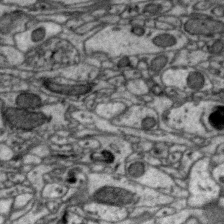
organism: Zebra finch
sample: Brain